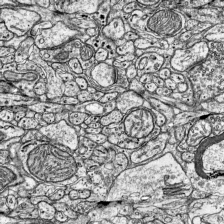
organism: Mouse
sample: Visual Cortex